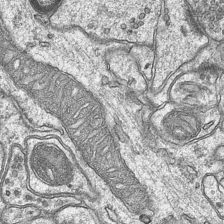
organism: Mouse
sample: CA1 Hippocampus